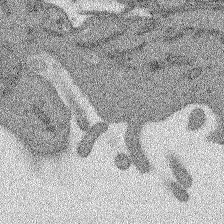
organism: Human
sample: HeLa cells